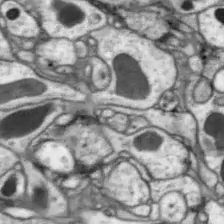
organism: Drosophila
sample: Optic lobe